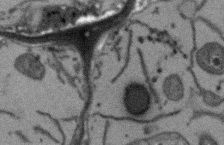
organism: Arabidopsis thaliana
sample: Root tip